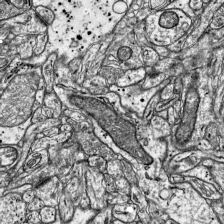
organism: Mouse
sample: Visual Cortex